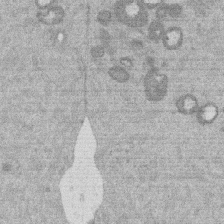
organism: Mouse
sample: Dividing mouse embryo 1 cell stage